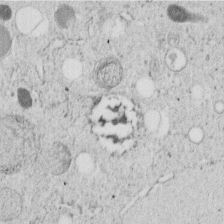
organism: C. elegans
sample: C. elegans embryo early stage